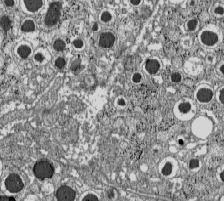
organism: C57BL Mouse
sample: Pancreatic islet